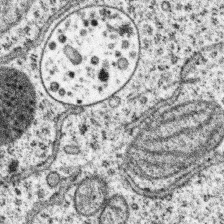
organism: Human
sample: HeLa cells